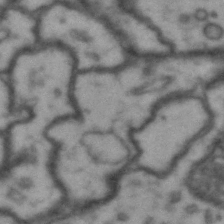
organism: Drosophila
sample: Brain